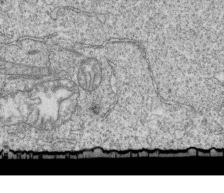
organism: Human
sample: HeLa cell HIV synapse